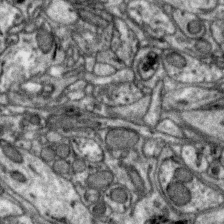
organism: Zebra finch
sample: Brain